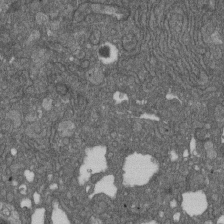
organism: Drosophila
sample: Nephrocyte